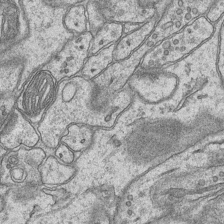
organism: Mouse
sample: CA1 Hippocampus